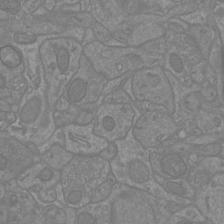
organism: Mouse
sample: Cortical neurons